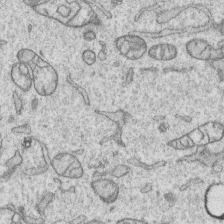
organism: Human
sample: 1205lu cells